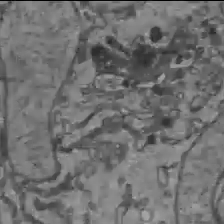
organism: C57BL Mouse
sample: Liver